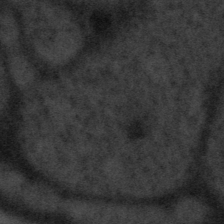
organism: Tuwongella immobilis